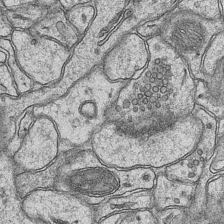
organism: Mouse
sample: CA1 Hippocampus